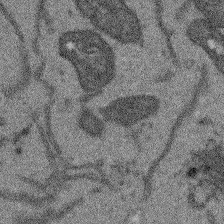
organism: Arabidopsis thaliana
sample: Root tip